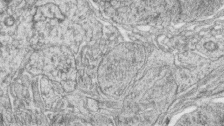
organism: Zebrafish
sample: synaptic ribbons in rod cells and cone cells